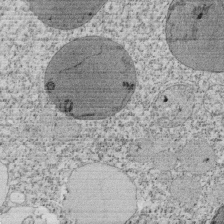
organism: Tetrahymena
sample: Cilia in tetrahymena